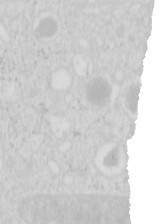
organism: Mouse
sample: Pancreas